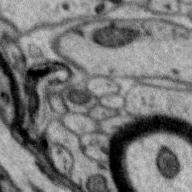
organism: Zebra finch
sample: Brain